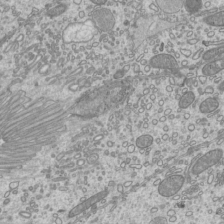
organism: Mouse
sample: Cilia; mouse epididymis